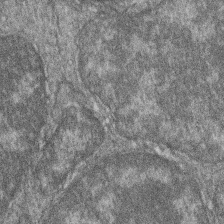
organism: Zebrafish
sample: Cilia; retinal pigment epithelium